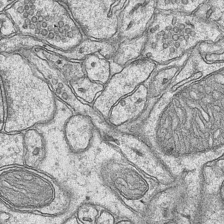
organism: Mouse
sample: CA1 Hippocampus